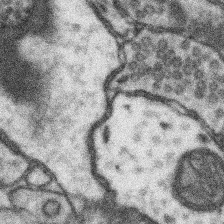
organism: Mouse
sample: Somatosensory cortex neuropil